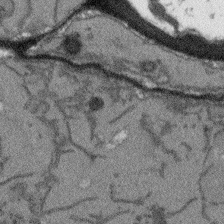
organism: Arabidopsis thaliana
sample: Root tip